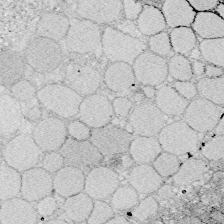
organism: Zebrafish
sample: Whole-Brain